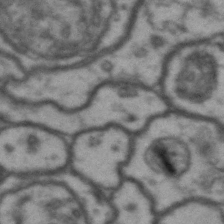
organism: Drosophila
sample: Brain